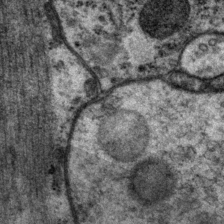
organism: P. pacificus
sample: Pharynx